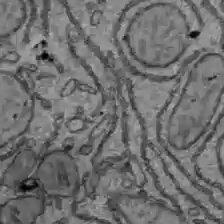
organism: C57BL Mouse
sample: Liver